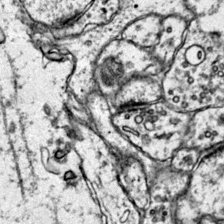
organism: Mouse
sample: Primary visual cortex